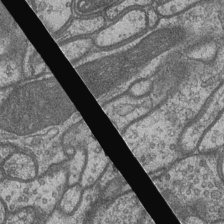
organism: Drosophila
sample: Optic medulla